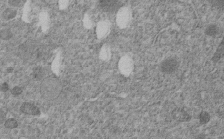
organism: C. elegans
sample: C. elegans embryo early stage